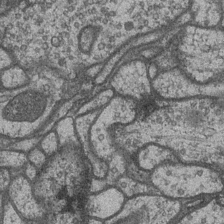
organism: Drosophila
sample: Optic medulla